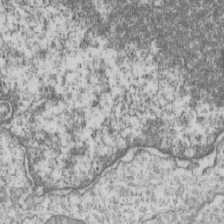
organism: Human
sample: MDA-MB-231 cells